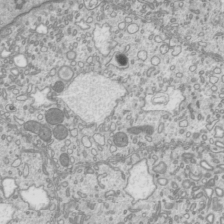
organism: Mouse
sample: Cilia; mouse epididymis